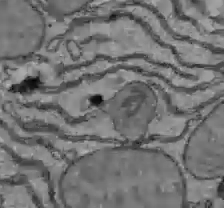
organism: C57BL Mouse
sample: Liver